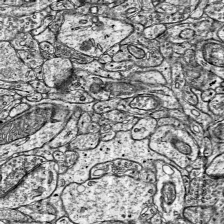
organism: Mouse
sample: Visual Cortex